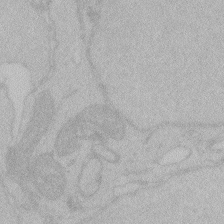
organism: Zebrafish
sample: Macrophage infected with Toxoplasma gondii